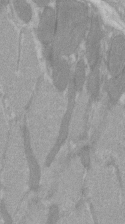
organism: C57BL Mouse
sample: Tibialis anterior muscle cell